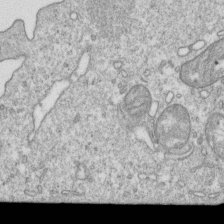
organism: Mouse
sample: Activated OT-1 CD8+ T cells